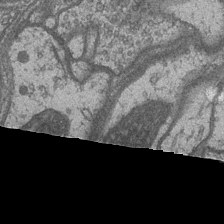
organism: Drosophila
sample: Optic medulla